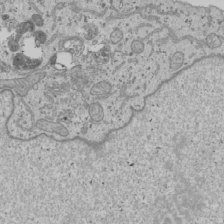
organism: Human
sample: Mitochondria in U2OS cells